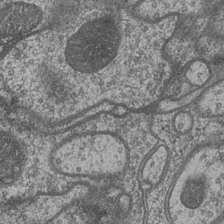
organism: Drosophila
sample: Optic medulla